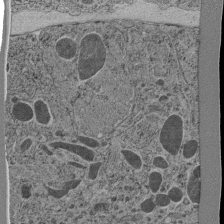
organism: C. elegans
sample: C. elegans pharynx